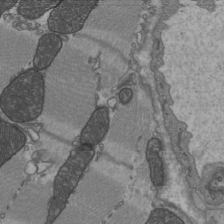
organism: C57BL Mouse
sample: Heart